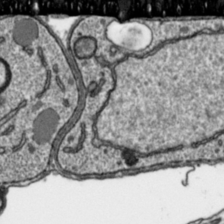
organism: Toxoplasma gondii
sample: Parasites in a vacuole inside a host cell